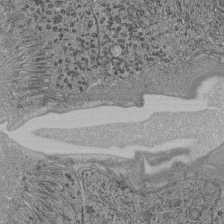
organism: C. elegans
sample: C. elegans pharynx